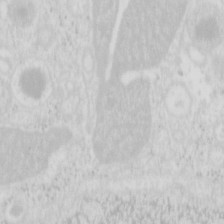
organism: Mouse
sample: Pancreas